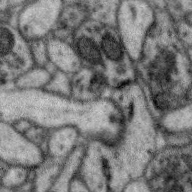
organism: Zebra finch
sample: Brain